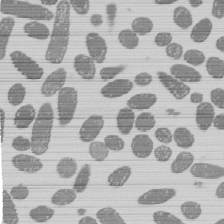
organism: E. coli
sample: Bacterial nucleoid